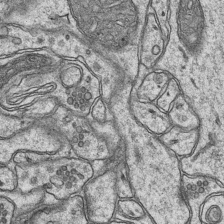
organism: Mouse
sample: CA1 Hippocampus